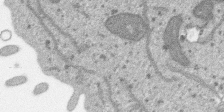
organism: Human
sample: Lung epithelial cells infected with SARS-CoV-2